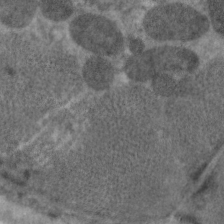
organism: C. elegans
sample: Pharynx